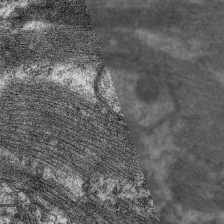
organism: C. elegans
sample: Pharynx